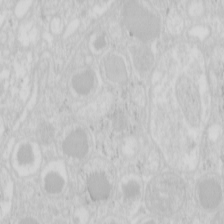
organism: Mouse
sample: Pancreas